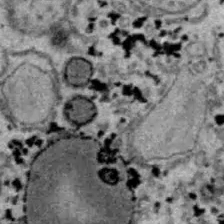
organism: Mouse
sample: Liver from an obese (ob/ob) mouse